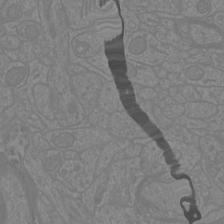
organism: Mouse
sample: Cortical neurons